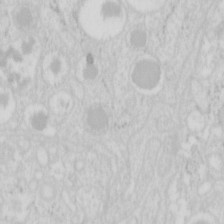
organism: Mouse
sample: Pancreas